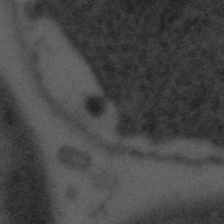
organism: Tuwongella immobilis